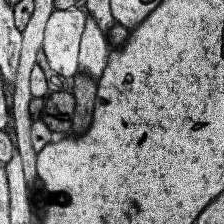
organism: Human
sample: Temporal Lobe